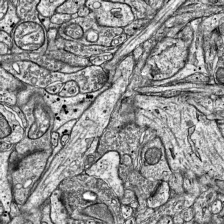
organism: Mouse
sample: Visual Cortex